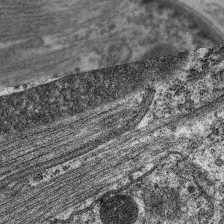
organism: C. elegans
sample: Pharynx